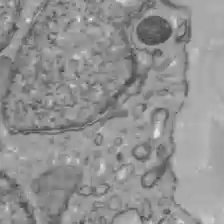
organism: C57BL Mouse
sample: Liver